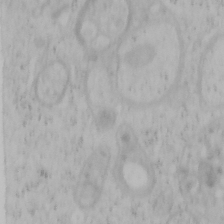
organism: Mouse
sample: OT-I killer T cells with ID8 ovarian cancer cells